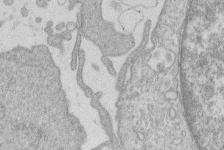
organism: Human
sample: Macrophage cells